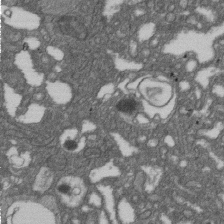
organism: Drosophila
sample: Nephrocyte